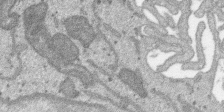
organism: Human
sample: Lung epithelial cells infected with SARS-CoV-2